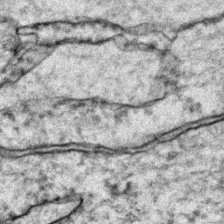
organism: Zebrafish